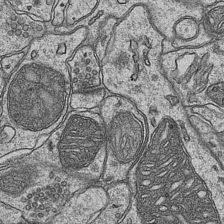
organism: Mouse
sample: CA1 Hippocampus